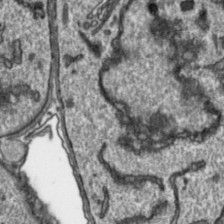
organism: Toxoplasma gondii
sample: Parasites in a vacuole inside a host cell